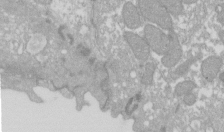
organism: Xenopus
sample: Cilia; centrioles in frog embryo cells